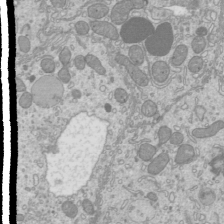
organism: Mouse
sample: Cilia; mouse epididymis